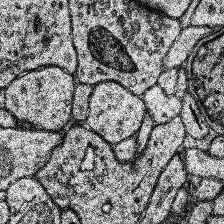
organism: Human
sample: Temporal Lobe